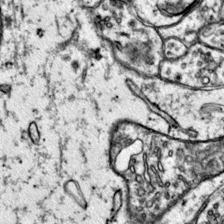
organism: Mouse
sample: Primary visual cortex